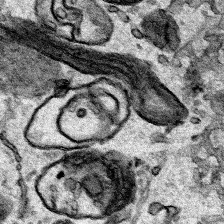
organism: Human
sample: Mitochondria in HCT116 cells